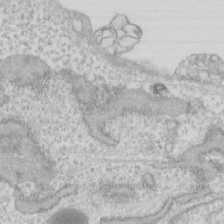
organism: Human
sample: Fibroblast cells